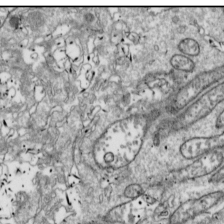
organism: Drosophila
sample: Cell division; meiosis; drosophila spermatocytes